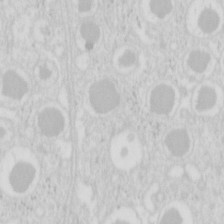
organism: Mouse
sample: Pancreas